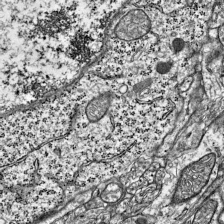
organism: Mouse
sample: Visual Cortex